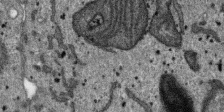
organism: Human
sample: Lung epithelial cells, uninfected (mock) control